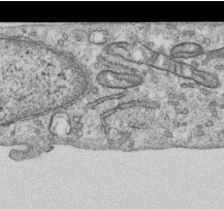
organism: Human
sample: Centriole in RPE cells